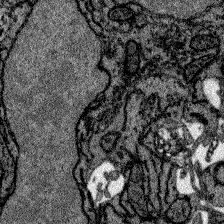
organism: Zebrafish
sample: Larval olfactory bulb